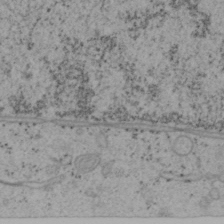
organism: Human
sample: HeLa cells